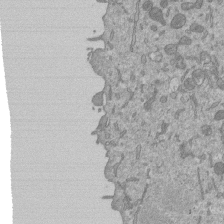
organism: Mouse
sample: ED-1 cell nuclei; centrioles